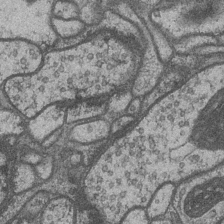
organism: Drosophila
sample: Optic medulla